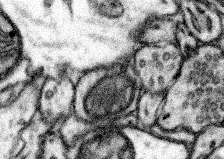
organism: Mouse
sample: Somatosensory cortex neuropil